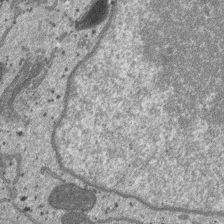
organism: Human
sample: Lung epithelial cells infected with SARS-CoV-2